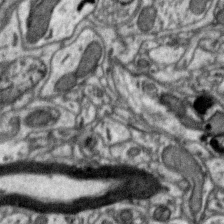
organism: Zebra finch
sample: Brain